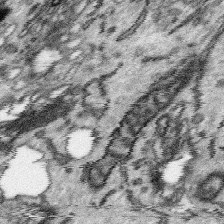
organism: Human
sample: HeLa cells